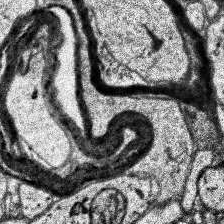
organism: Human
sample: Temporal Lobe